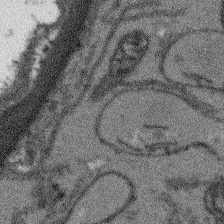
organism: Arabidopsis thaliana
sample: Root tip